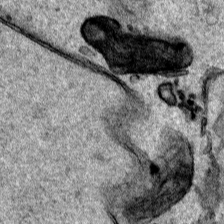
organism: Human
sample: Mitochondria in HCT116 cells